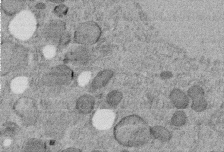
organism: C. elegans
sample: C. elegans embryo early stage